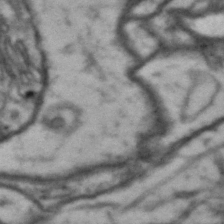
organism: Drosophila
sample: Brain